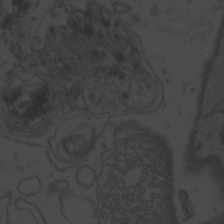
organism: Zebrafish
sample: Macrophage infected with Toxoplasma gondii